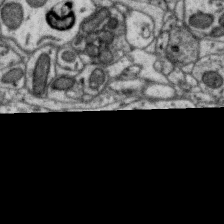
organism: Zebra finch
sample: Brain